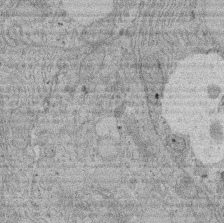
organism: Rat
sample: Salivary granule